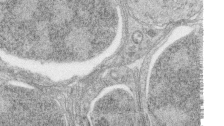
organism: Zebrafish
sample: synaptic ribbons in rod cells and cone cells